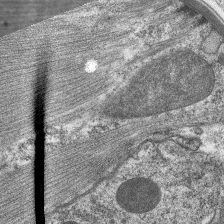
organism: C. elegans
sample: Pharynx